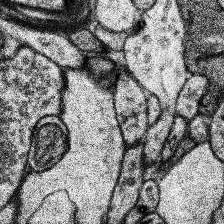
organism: Human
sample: Temporal Lobe